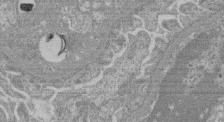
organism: Mouse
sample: Glomerulus